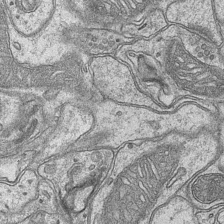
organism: Mouse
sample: CA1 Hippocampus